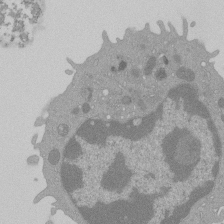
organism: Mouse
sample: Activated Pmel transgenic CD8+ T Cells